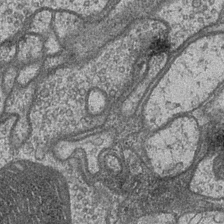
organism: Drosophila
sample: Optic medulla